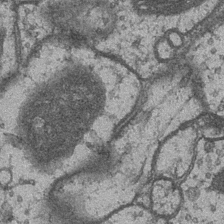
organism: Drosophila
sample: Optic medulla